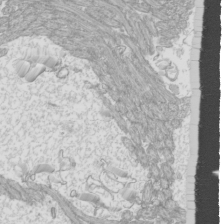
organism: Mouse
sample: Cilia; mouse epididymis